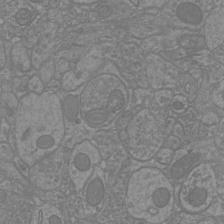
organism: Mouse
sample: Cortical neurons